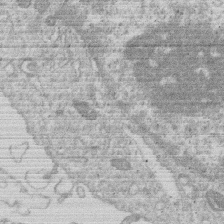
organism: Human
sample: Macrophage cells